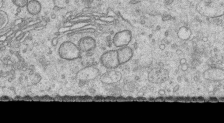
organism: Human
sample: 1205lu cells